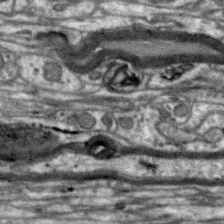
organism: Zebra finch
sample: Brain